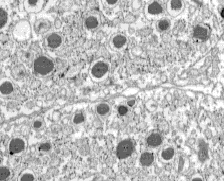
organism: C57BL Mouse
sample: Pancreatic islet